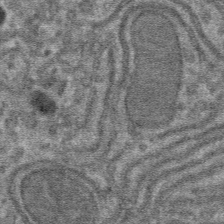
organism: Mouse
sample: Mouse hepatocytes